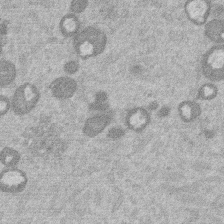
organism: Mouse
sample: Dividing mouse embryo 1 cell stage